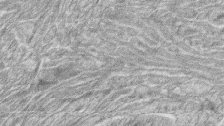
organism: Zebrafish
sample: synaptic ribbons in rod cells and cone cells